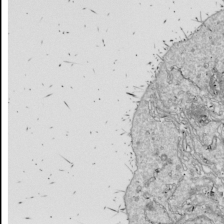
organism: Drosophila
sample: Cell division; meiosis; drosophila spermatocytes